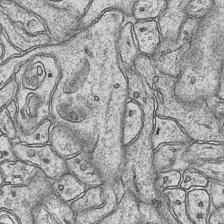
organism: Mouse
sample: CA1 Hippocampus